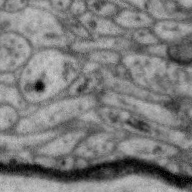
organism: Zebra finch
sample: Brain